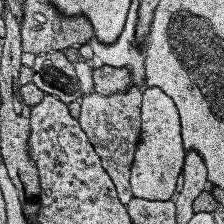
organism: Human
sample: Temporal Lobe